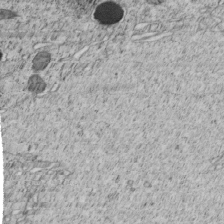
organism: C. elegans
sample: C. elegans embryo early stage